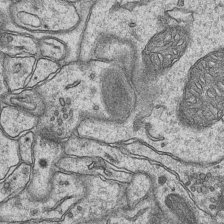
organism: Mouse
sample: CA1 Hippocampus